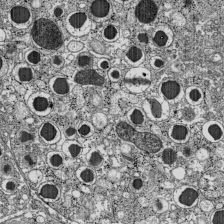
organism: C57BL Mouse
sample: Pancreatic islet